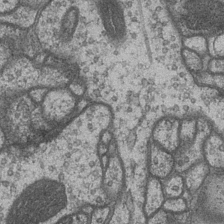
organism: Drosophila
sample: Optic medulla